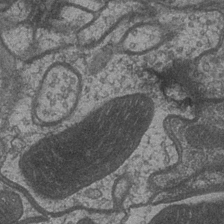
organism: Drosophila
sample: Optic medulla